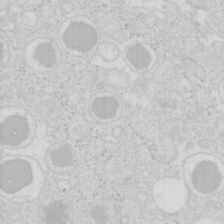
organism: Mouse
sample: Pancreas